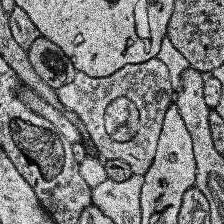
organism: Human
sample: Temporal Lobe